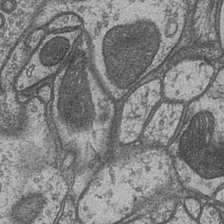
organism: Drosophila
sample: Optic medulla